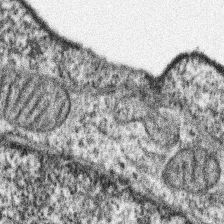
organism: Human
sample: HeLa cells